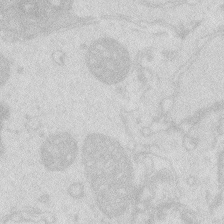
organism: Zebrafish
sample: Macrophage